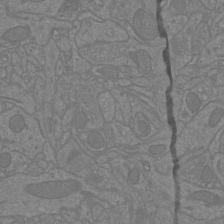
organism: Mouse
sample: Cortical neurons